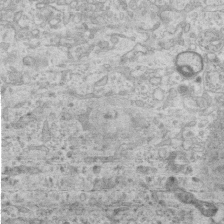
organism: Mouse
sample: Centriole in ependymal cells